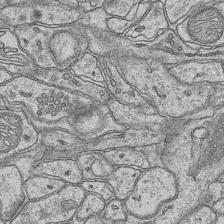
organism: Mouse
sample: CA1 Hippocampus